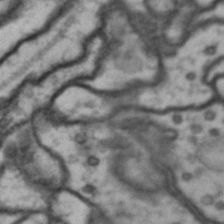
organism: Drosophila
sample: Brain